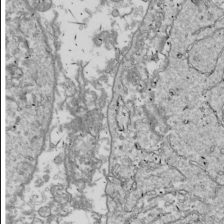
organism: Drosophila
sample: Cell division; meiosis; drosophila spermatocytes